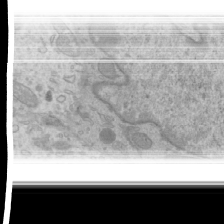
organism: Mouse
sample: Cilia; mouse epididymis